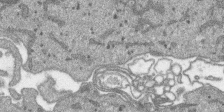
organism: Human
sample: Lung epithelial cells infected with SARS-CoV-2